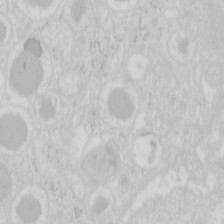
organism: Mouse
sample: Pancreas